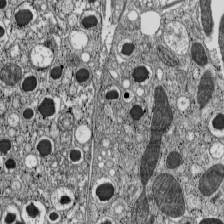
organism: C57BL Mouse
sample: Pancreatic islet